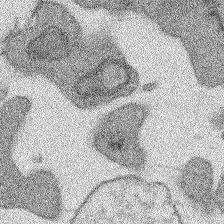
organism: Human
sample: HeLa cells